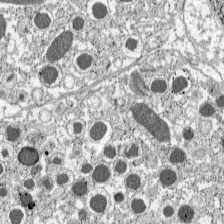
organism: C57BL Mouse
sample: Pancreatic islet